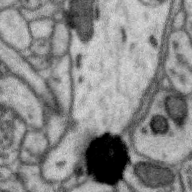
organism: Zebra finch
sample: Brain